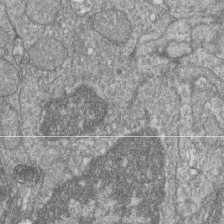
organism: Zebrafish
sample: Cilia; retinal pigment epithelium